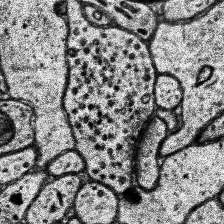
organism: Human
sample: Temporal Lobe